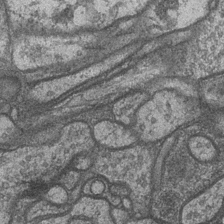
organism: Drosophila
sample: Optic medulla